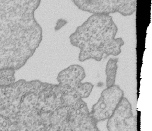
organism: Human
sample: MDA-MB-231 cells